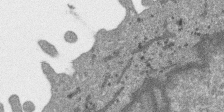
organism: Human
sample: Lung epithelial cells infected with SARS-CoV-2